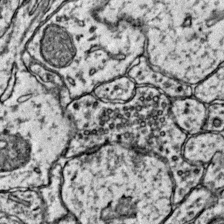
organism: Mouse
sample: Primary visual cortex